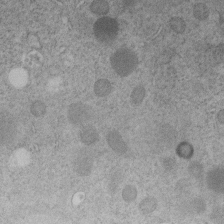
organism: C. elegans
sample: C. elegans embryo early stage